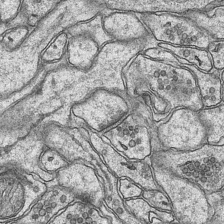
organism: Mouse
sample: CA1 Hippocampus